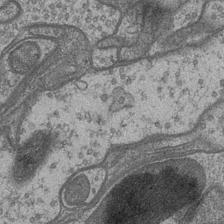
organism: Drosophila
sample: Optic medulla